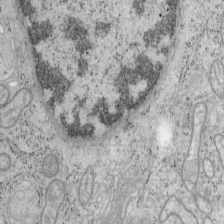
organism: Mouse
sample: OT-I killer T cells with ID8 ovarian cancer cells